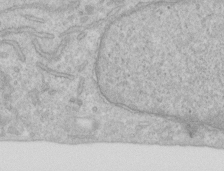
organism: Human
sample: Centriole in RPE cells